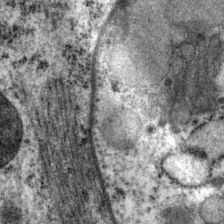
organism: P. pacificus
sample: Pharynx